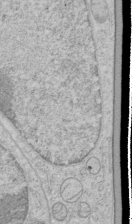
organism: Human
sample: Mitochondria in HCT116 cells